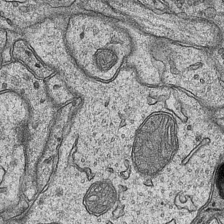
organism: Mouse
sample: CA1 Hippocampus